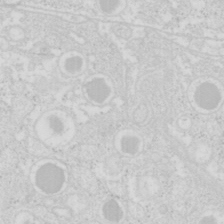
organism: Mouse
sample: Pancreas